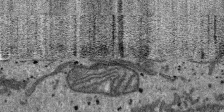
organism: Human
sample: Lung epithelial cells, uninfected (mock) control